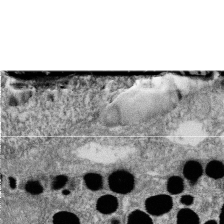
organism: Zebrafish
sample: Cilia; retinal pigment epithelium